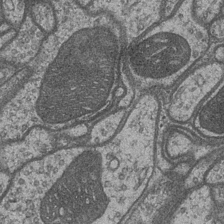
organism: Drosophila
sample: Optic medulla